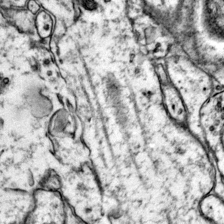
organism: Mouse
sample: Primary visual cortex